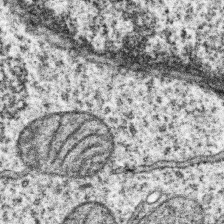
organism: Human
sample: HeLa cells